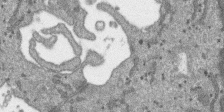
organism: Human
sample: Lung epithelial cells infected with SARS-CoV-2